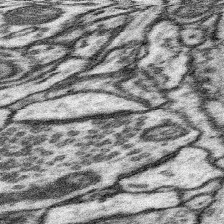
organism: Mouse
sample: Somatosensory cortex neuropil